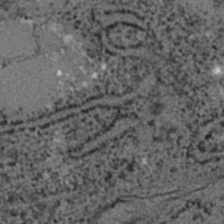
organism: C. elegans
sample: C. elegans embryo